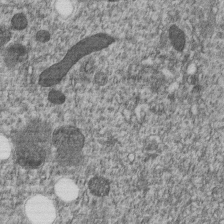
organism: C. elegans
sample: C. elegans embryo early stage